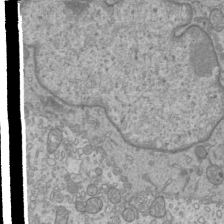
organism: Mouse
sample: Cilia; mouse epididymis